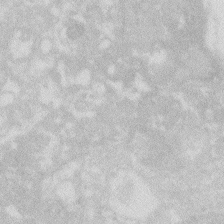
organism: Zebrafish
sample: Macrophage